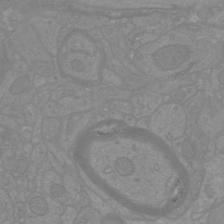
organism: Mouse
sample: Cortical neurons